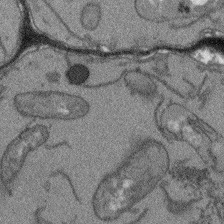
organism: Arabidopsis thaliana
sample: Root tip